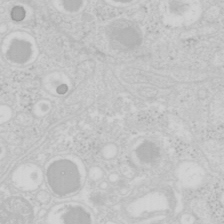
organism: Mouse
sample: Pancreas